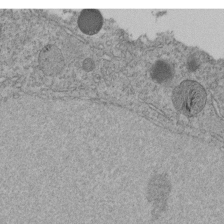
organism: C. elegans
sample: C. elegans embryo early stage